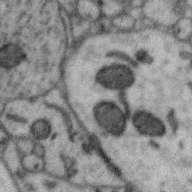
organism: Zebra finch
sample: Brain